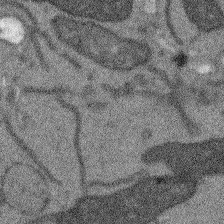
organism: Arabidopsis thaliana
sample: Root tip